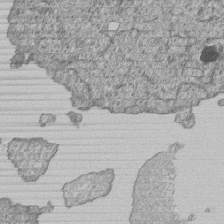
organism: Human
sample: MDA-MB-231 cells